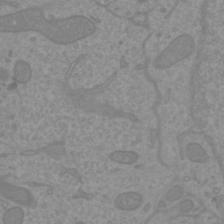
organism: Mouse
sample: Cortical neurons